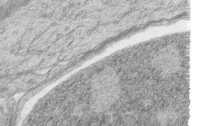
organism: Zebrafish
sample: synaptic ribbons in rod cells and cone cells